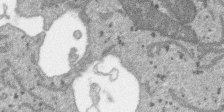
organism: Human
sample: Lung epithelial cells infected with SARS-CoV-2